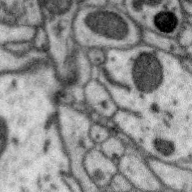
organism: Zebra finch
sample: Brain